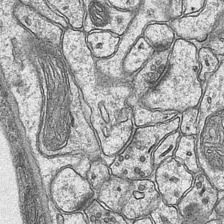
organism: Mouse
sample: CA1 Hippocampus